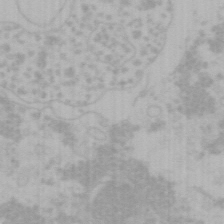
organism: Mouse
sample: Choroid plexus